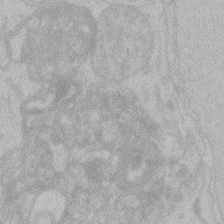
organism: Zebrafish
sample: Macrophage infected with Toxoplasma gondii